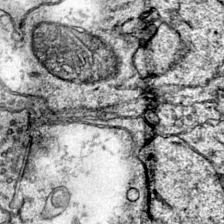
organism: Mouse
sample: Primary visual cortex